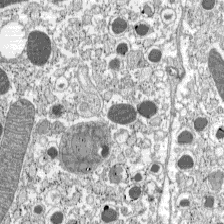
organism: C57BL Mouse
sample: Pancreatic islet